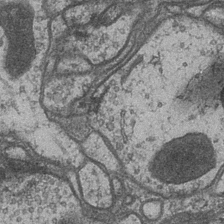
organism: Drosophila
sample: Optic medulla